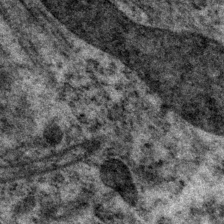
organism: P. pacificus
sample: Pharynx